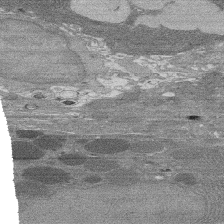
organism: Rat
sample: Salivary granule